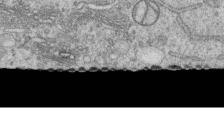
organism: Human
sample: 1205lu cells